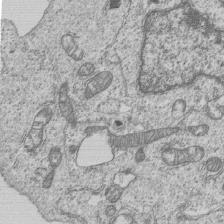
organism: Human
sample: MDA-MB-231 cells